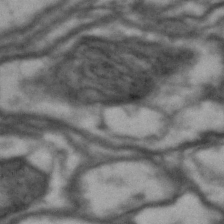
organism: Drosophila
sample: Brain